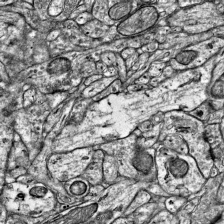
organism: Mouse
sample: Visual Cortex